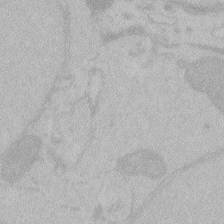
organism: Zebrafish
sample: Macrophage infected with Toxoplasma gondii